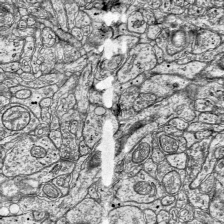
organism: Mouse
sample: Visual Cortex